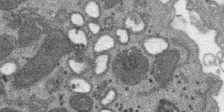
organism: Human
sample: Lung epithelial cells infected with SARS-CoV-2